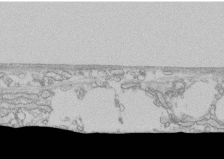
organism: Human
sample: CRL-1474